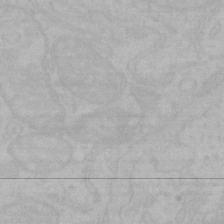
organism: Mouse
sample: Choroid plexus